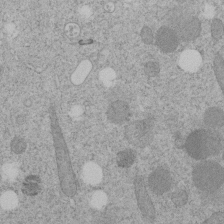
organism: C. elegans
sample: C. elegans embryo early stage